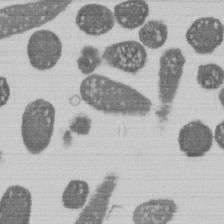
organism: E. coli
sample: Bacterial nucleoid